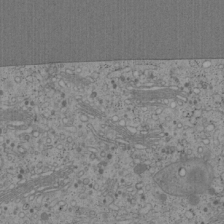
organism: African green monkey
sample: COS-7 cells